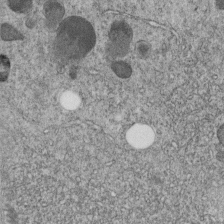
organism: C. elegans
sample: C. elegans embryo early stage